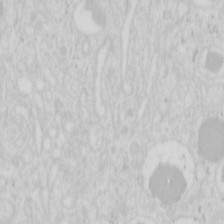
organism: Mouse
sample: Pancreas